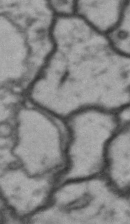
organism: Drosophila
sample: Brain